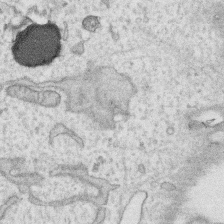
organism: Human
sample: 1205lu cells